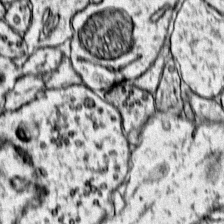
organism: Mouse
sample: Primary visual cortex